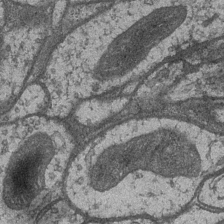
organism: Drosophila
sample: Optic medulla